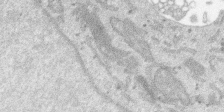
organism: Human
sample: Lung epithelial cells infected with SARS-CoV-2